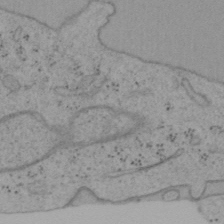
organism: Human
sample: HeLa cells